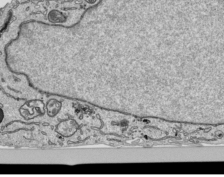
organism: Human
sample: Mitochondria in HCT116 cells